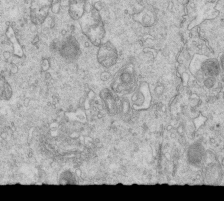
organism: Mouse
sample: Multiciliated cells